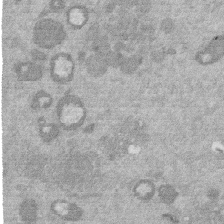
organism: Mouse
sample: Dividing mouse embryo 1 cell stage